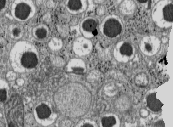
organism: C57BL Mouse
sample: Pancreatic islet